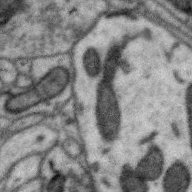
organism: Zebra finch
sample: Brain